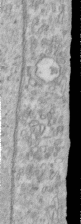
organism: Human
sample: Centriole in RPE cells